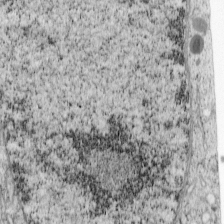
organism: African green monkey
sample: COS-7 cells